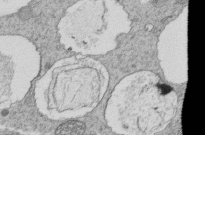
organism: Tetrahymena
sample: Cilia in tetrahymena